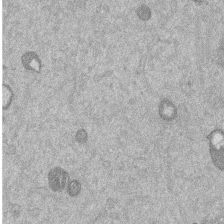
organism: Mouse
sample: Dividing mouse embryo 1 cell stage